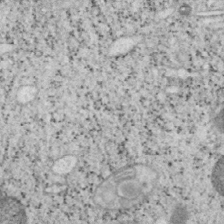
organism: Mouse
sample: OT-I killer T cells with ID8 ovarian cancer cells